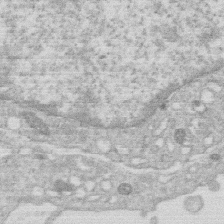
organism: Human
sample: Macrophage cells